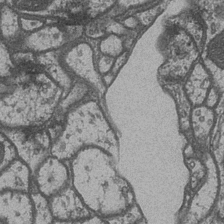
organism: Drosophila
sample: Optic medulla